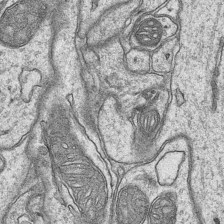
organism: Mouse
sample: CA1 Hippocampus